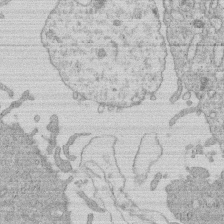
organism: Human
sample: Macrophage cells